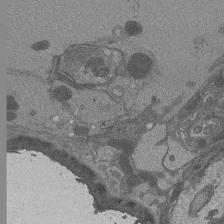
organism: Drosophila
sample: Antenna